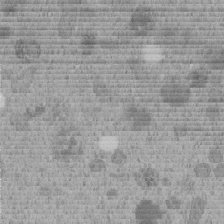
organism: C. elegans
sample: C. elegans embryo early stage